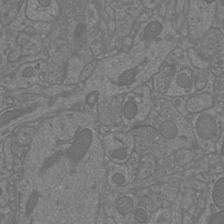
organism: Mouse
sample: Cortical neurons